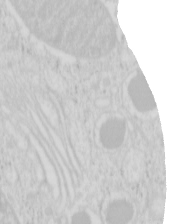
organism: Mouse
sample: Pancreas